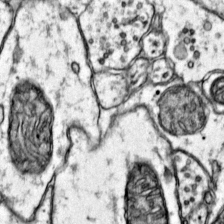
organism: Mouse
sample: Primary visual cortex